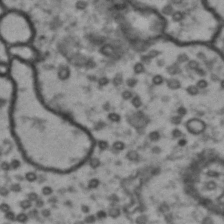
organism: Drosophila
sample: Brain